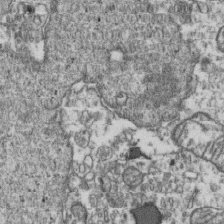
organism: Human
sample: Activated Jurkat CD4+ T cells